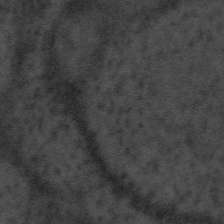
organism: Tuwongella immobilis